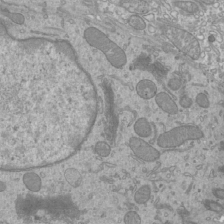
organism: Mouse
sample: Cilia; mouse epididymis